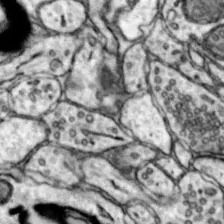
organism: Mouse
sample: Nucleus accumbens